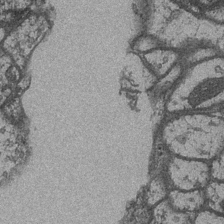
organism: Drosophila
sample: Optic medulla